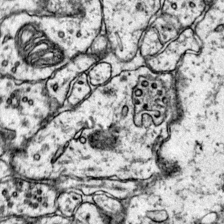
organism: Mouse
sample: Primary visual cortex